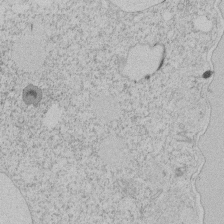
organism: Tetrahymena